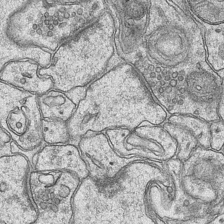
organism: Mouse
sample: CA1 Hippocampus